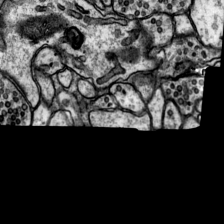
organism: Rat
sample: Hippocampus